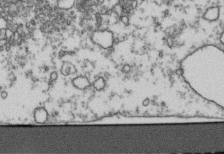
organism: Human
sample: Activated Jurkat CD4+ T cells